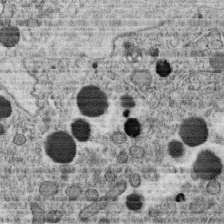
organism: C. elegans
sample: C. elegans oocyte; sperm cells